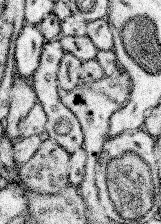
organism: Mouse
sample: Somatosensory cortex neuropil